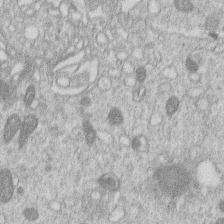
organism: Human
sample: Macrophage cells